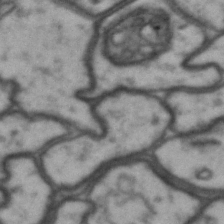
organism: Drosophila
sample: Brain